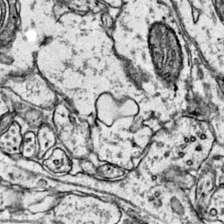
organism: Mouse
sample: Primary visual cortex